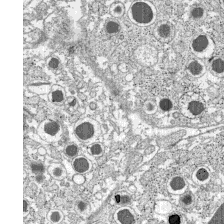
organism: C57BL Mouse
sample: Pancreatic islet